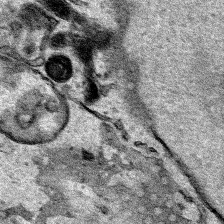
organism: Human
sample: Mitochondria in HCT116 cells